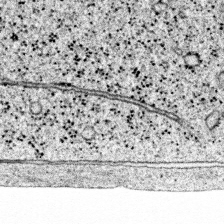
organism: Human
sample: HeLa cells